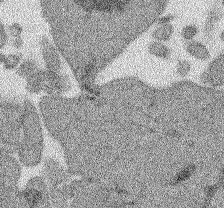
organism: Human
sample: HeLa cells